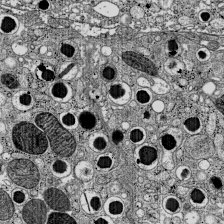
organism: C57BL Mouse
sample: Pancreatic islet